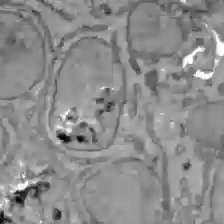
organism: C57BL Mouse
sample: Liver